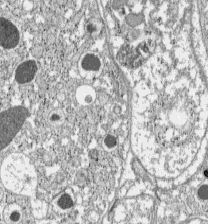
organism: C57BL Mouse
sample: Pancreatic islet